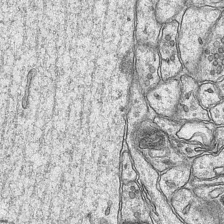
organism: Mouse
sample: CA1 Hippocampus